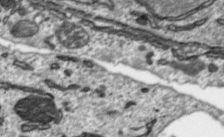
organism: Toxoplasma gondii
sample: Parasites in a vacuole inside a host cell